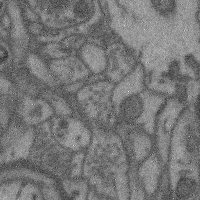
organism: Mouse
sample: Cerebral cortex